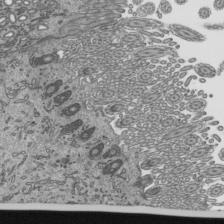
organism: Mouse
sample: Mouse epididymis efferent ductule cilia